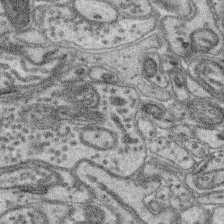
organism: Mouse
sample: Retina